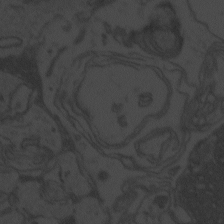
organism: Zebrafish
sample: Macrophage infected with Toxoplasma gondii